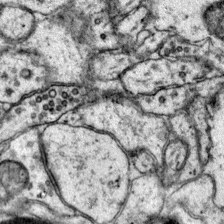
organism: Mouse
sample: Primary visual cortex